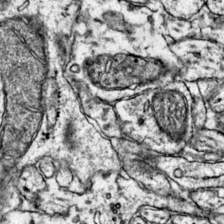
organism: Mouse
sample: Primary visual cortex